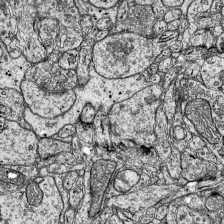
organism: Mouse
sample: Visual Cortex